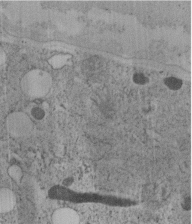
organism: C. elegans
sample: C. elegans embryo early stage